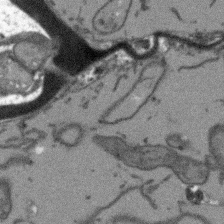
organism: Arabidopsis thaliana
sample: Root tip